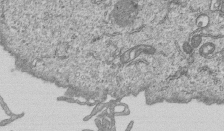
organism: Human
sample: MDA-MB-231 cells